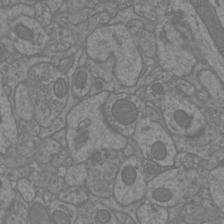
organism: Mouse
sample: Cortical neurons